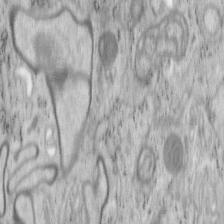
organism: Human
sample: HeLa cells